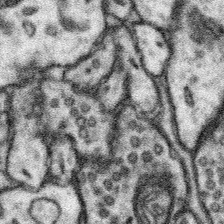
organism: Mouse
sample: Somatosensory cortex neuropil